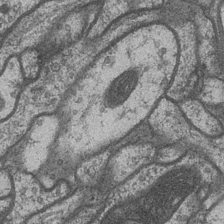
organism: Drosophila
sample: Optic medulla